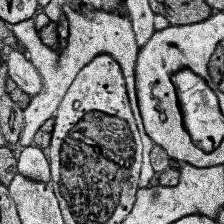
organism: Human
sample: Temporal Lobe